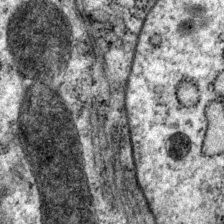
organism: P. pacificus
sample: Pharynx